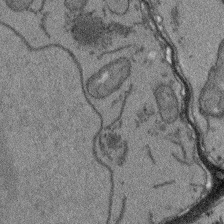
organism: Arabidopsis thaliana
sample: Root tip